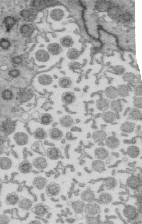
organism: Mouse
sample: Multiciliated cells